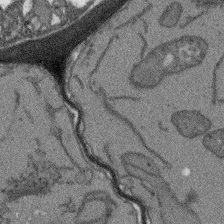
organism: Arabidopsis thaliana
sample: Root tip